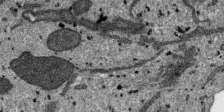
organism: Human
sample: Lung epithelial cells, uninfected (mock) control